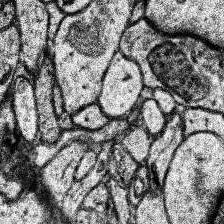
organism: Human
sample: Temporal Lobe